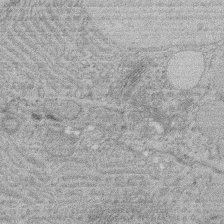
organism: Rat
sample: Salivary granule